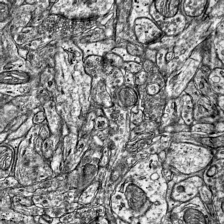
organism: Mouse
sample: Visual Cortex